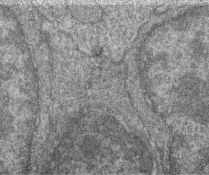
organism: Zebrafish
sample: Cilia; retinal pigment epithelium